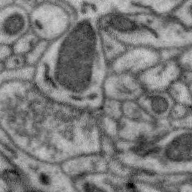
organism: Zebra finch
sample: Brain